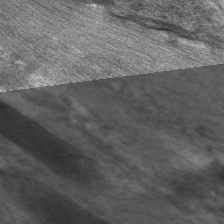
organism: C. elegans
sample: Pharynx